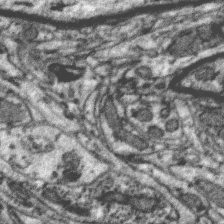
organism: Zebra finch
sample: Brain